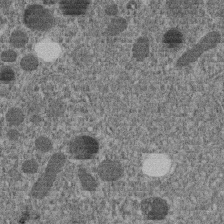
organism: C. elegans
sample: C. elegans embryo early stage